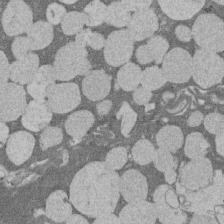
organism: Rat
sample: Salivary granule